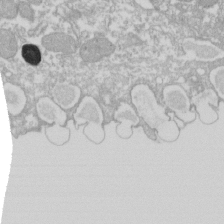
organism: Xenopus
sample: Cilia; centrioles in frog embryo cells